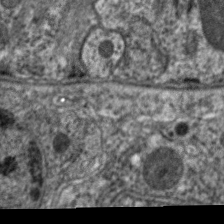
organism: C. elegans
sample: Pharynx